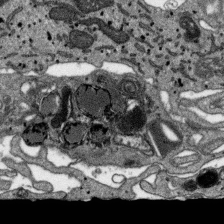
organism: Human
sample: Lung epithelial cells, uninfected (mock) control